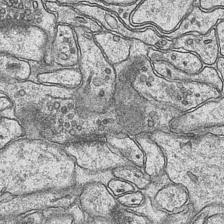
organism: Mouse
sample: CA1 Hippocampus